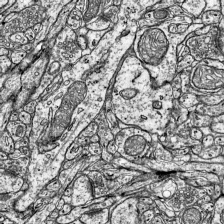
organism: Mouse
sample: Visual Cortex